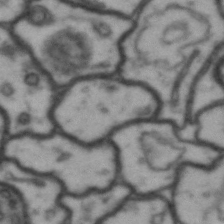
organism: Drosophila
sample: Brain